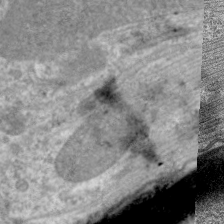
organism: C. elegans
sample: Pharynx